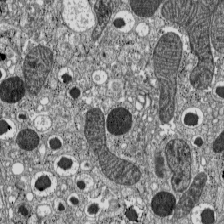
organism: C57BL Mouse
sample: Pancreatic islet